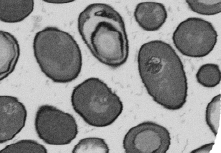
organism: B. subtilis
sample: Bacterial spore